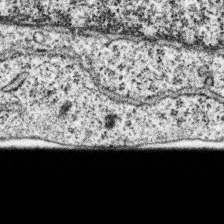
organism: Human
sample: HeLa cells